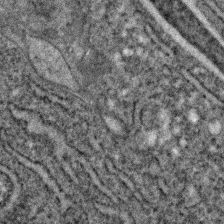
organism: C. elegans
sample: C. elegans embryo